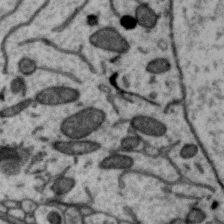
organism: Zebra finch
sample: Brain